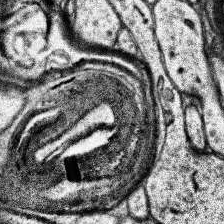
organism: Human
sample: Temporal Lobe